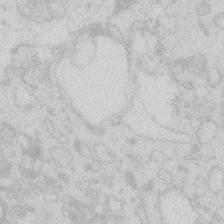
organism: Zebrafish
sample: Macrophage